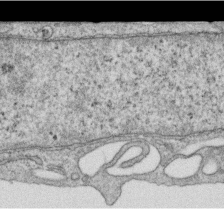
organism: Human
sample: Centriole in RPE cells